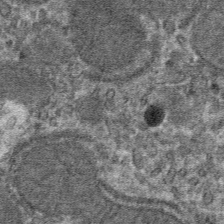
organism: Mouse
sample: Mouse hepatocytes